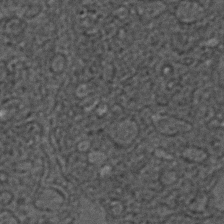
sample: Trachea